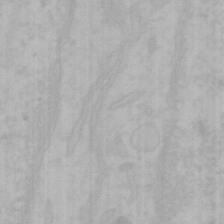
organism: Mouse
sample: Choroid plexus